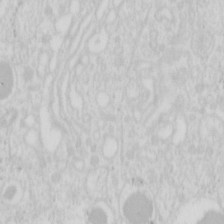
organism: Mouse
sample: Pancreas